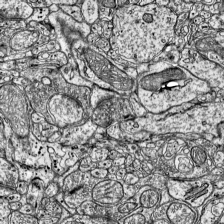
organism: Mouse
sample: Visual Cortex